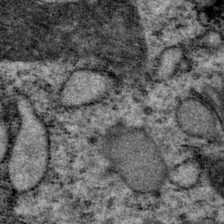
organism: P. pacificus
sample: Pharynx